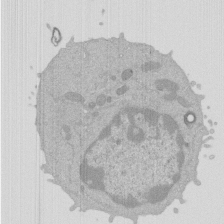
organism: Mouse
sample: Activated Pmel transgenic CD8+ T Cells